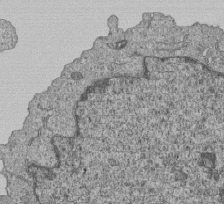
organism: Human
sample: MDA-MB-231 cells